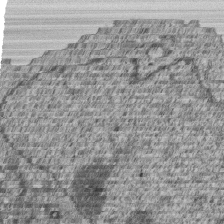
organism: Human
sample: MDA-MB-231 cells